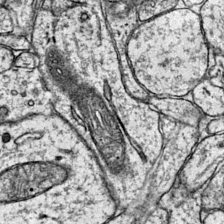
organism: Mouse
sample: Primary visual cortex